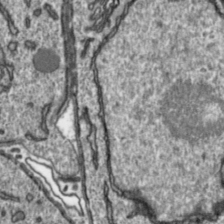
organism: Toxoplasma gondii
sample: Parasites in a vacuole inside a host cell